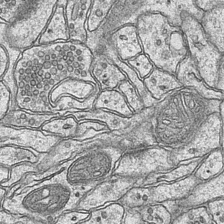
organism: Mouse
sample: CA1 Hippocampus